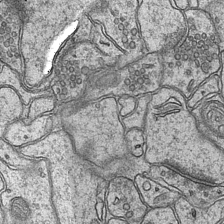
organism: Mouse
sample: CA1 Hippocampus